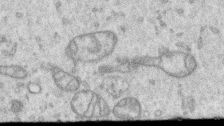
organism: Human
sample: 1205lu cells